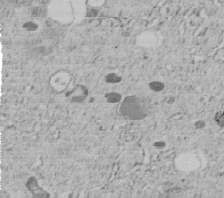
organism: C. elegans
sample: C. elegans embryo early stage